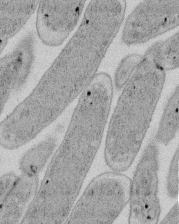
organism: E. coli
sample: Bacterial nucleoid